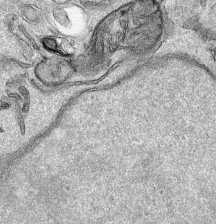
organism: Human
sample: Mitochondria in HCT116 cells